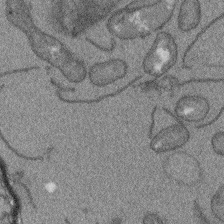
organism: Arabidopsis thaliana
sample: Root tip